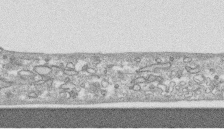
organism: Human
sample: CRL-1474